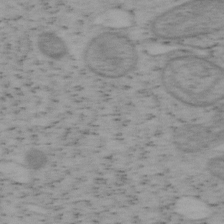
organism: Mouse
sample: OT-I killer T cells with ID8 ovarian cancer cells